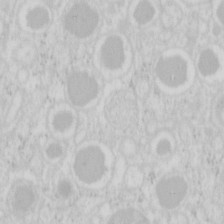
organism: Mouse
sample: Pancreas